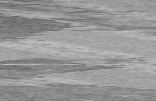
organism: C57BL Mouse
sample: Heart